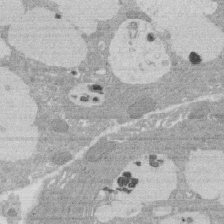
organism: Rat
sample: Salivary granule